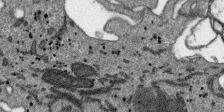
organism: Human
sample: Lung epithelial cells, uninfected (mock) control